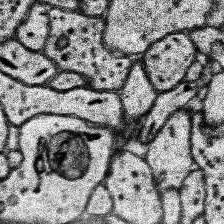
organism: Human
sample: Temporal Lobe